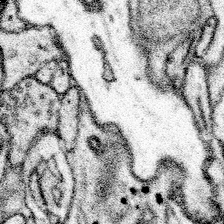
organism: Mouse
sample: Somatosensory cortex neuropil